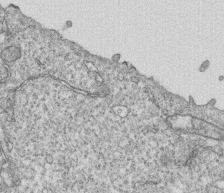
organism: Human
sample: HeLa cell HIV synapse